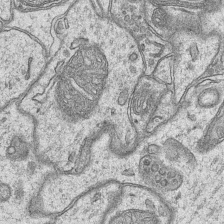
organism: Mouse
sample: CA1 Hippocampus